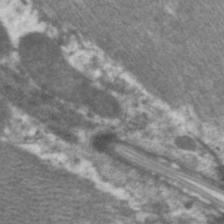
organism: C. elegans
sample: Pharynx